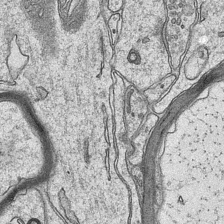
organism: Mouse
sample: CA1 Hippocampus